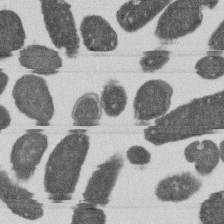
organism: E. coli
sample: Bacterial nucleoid